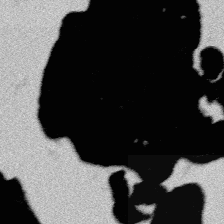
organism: Platynereis dumerilii